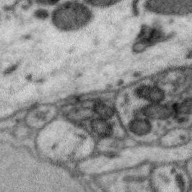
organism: Zebra finch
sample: Brain